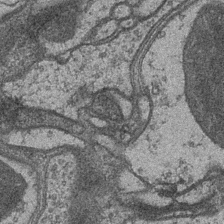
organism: Drosophila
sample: Optic medulla